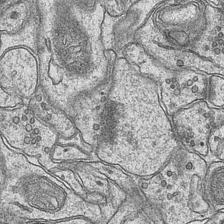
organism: Mouse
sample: CA1 Hippocampus